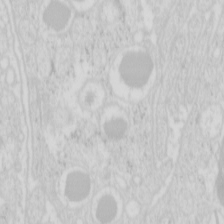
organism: Mouse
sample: Pancreas